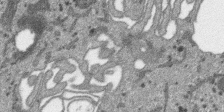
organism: Human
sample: Lung epithelial cells infected with SARS-CoV-2